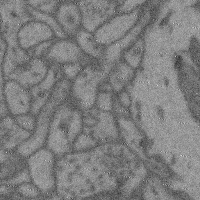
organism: Mouse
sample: Cerebral cortex